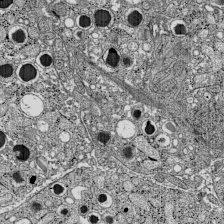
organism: C57BL Mouse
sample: Pancreatic islet